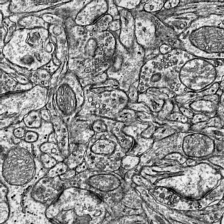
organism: Mouse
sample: Visual Cortex